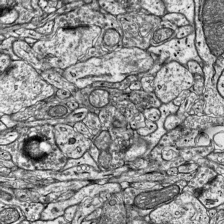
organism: Mouse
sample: Visual Cortex